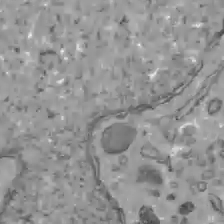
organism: C57BL Mouse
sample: Liver